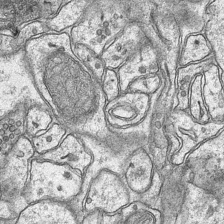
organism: Mouse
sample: CA1 Hippocampus